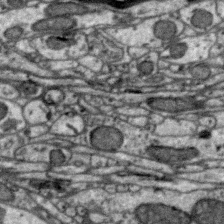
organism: Zebra finch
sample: Brain